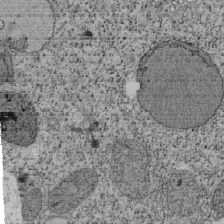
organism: Tetrahymena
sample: Cilia in tetrahymena